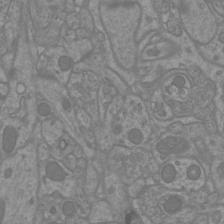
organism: Mouse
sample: Cortical neurons